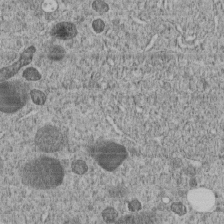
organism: C. elegans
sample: C. elegans embryo early stage